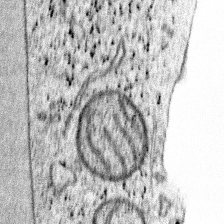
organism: Human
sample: HeLa cells